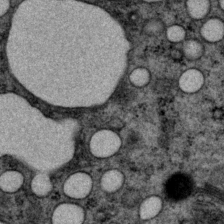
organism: P. pacificus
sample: Pharynx